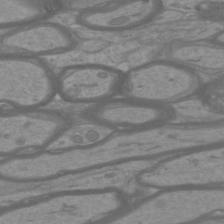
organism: Mouse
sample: Cortical neurons